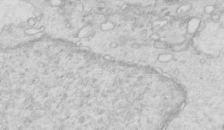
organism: Mouse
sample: Multiciliated cells